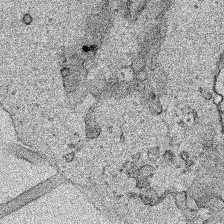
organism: Human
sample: Mitochondria in HCT116 cells